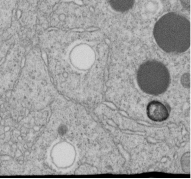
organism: C. elegans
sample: C. elegans embryo early stage